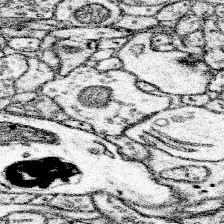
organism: Mouse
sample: Somatosensory cortex neuropil